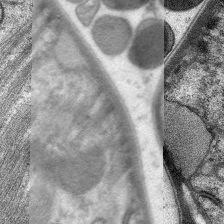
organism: C. elegans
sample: Pharynx